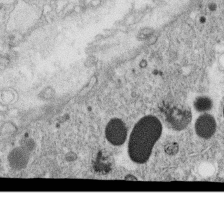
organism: C. elegans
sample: C. elegans oocyte; sperm cells